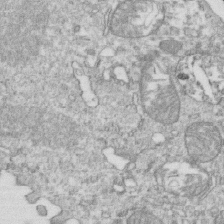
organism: Mouse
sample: Activated OT-1 CD8+ T cells